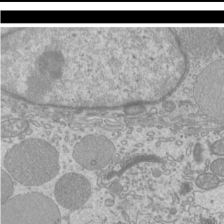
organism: Mouse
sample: Cilia; mouse epididymis